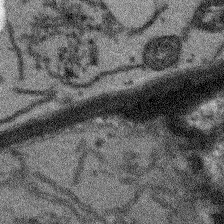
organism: Arabidopsis thaliana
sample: Root tip